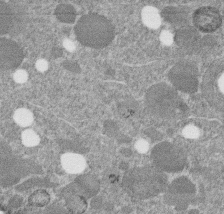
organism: C. elegans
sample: C. elegans embryo early stage